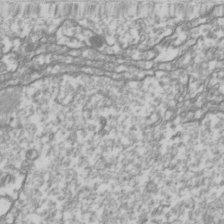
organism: Drosophila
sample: Cell division; meiosis; drosophila spermatocytes